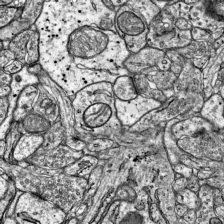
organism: Mouse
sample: Visual Cortex